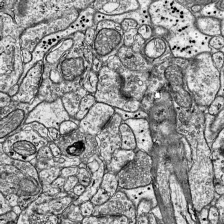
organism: Mouse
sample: Visual Cortex